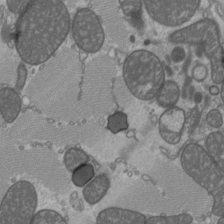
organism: C57BL Mouse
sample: Heart